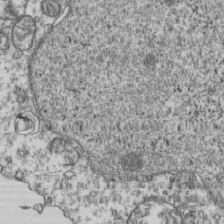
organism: Human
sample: Activated Jurkat CD4+ T cells